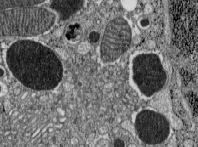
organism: C57BL Mouse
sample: Pancreatic islet